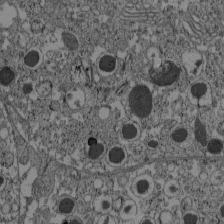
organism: C57BL Mouse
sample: Pancreatic islet